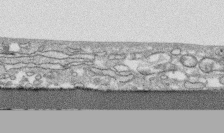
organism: Human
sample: CRL-1474